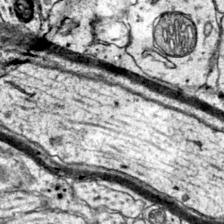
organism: Mouse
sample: Primary visual cortex